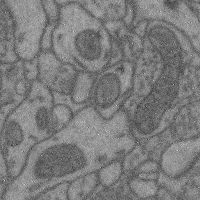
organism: Mouse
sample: Cerebral cortex